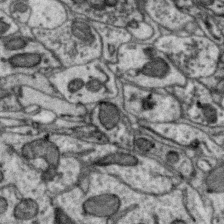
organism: Zebra finch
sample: Brain